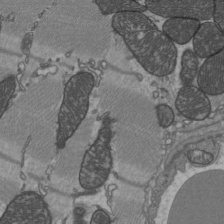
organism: C57BL Mouse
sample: Heart